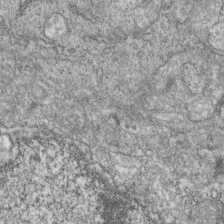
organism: Zebrafish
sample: Cilia; retinal pigment epithelium